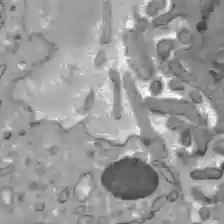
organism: C57BL Mouse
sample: Liver